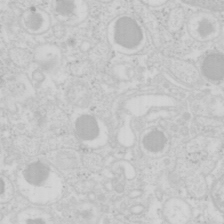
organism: Mouse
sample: Pancreas